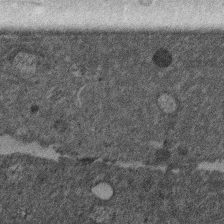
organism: Mouse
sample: Dividing mouse embryo 1 cell stage